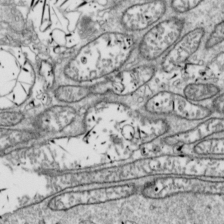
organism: Drosophila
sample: Cell division; meiosis; drosophila spermatocytes